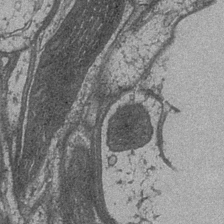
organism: Drosophila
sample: Optic medulla